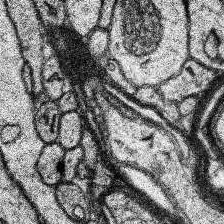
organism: Human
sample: Temporal Lobe